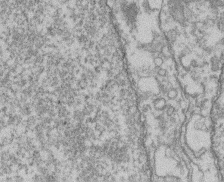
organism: Mouse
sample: T cell stromal cell synapse